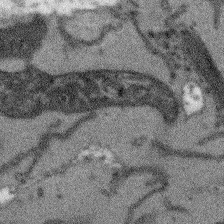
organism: Arabidopsis thaliana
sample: Root tip